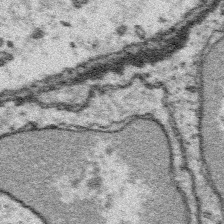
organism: Platynereis dumerilii